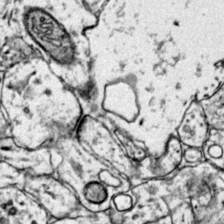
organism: Mouse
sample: Primary visual cortex